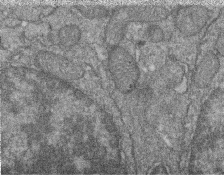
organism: Zebrafish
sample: Cilia; retinal pigment epithelium